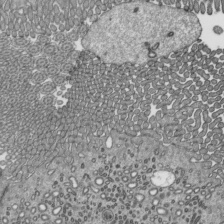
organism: Mouse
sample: Mouse epididymis efferent ductule cilia